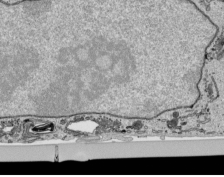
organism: Human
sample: Mitochondria in HCT116 cells